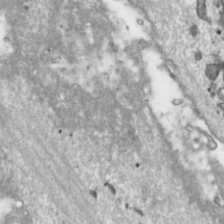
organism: Toxoplasma gondii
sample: Parasites in a vacuole inside a host cell